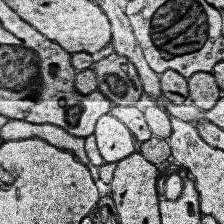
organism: Human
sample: Temporal Lobe